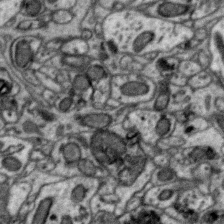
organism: Zebra finch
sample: Brain